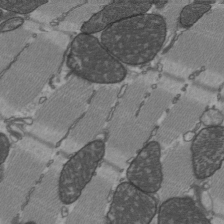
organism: C57BL Mouse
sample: Heart